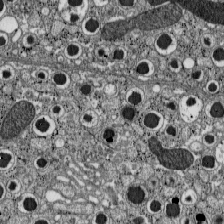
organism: C57BL Mouse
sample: Pancreatic islet